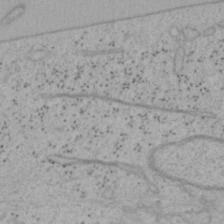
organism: Human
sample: HeLa cells